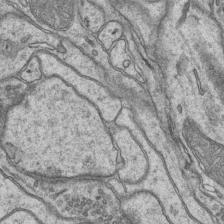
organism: Mouse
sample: CA1 Hippocampus